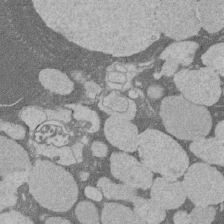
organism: Rat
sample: Salivary granule